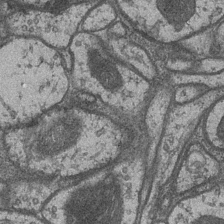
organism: Drosophila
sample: Optic medulla